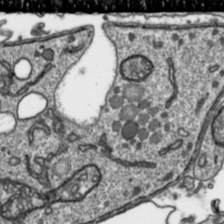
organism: Toxoplasma gondii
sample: Parasites in a vacuole inside a host cell